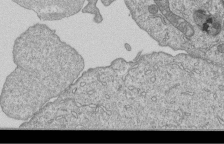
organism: Human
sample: MDA-MB-231 cells